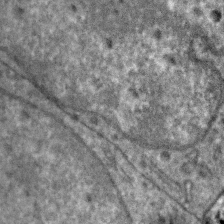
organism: Zebra finch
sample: Brain